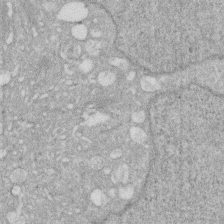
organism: Human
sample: HIV infected U937 cells